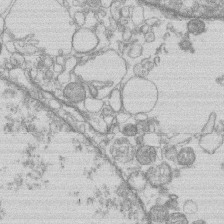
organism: Human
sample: Macrophage cells